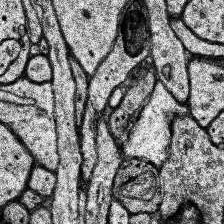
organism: Human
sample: Temporal Lobe